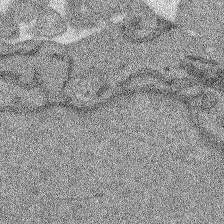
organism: Human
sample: HeLa cells